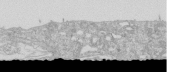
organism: Human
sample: Caco-2 cells